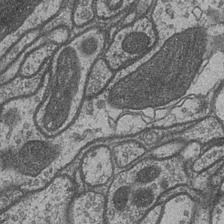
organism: Drosophila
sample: Optic medulla